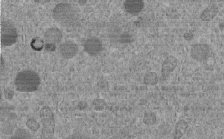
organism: C. elegans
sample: C. elegans embryo early stage